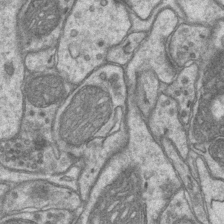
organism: Mouse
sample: CA1 Hippocampus